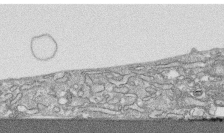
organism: Human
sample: CRL-1474